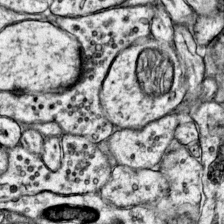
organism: Mouse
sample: Primary visual cortex